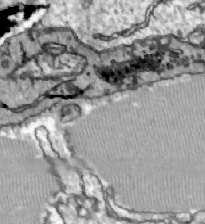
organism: Zebrafish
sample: Actinotrichia fibers